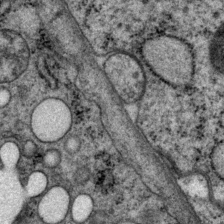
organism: P. pacificus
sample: Pharynx